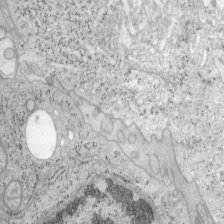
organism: Mouse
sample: OT-I killer T cells with ID8 ovarian cancer cells